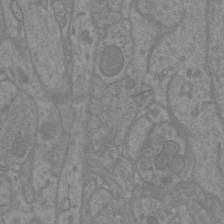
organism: Mouse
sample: Cortical neurons